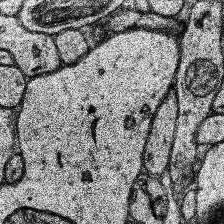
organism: Human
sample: Temporal Lobe